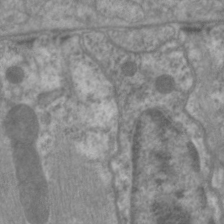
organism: C. elegans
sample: Pharynx